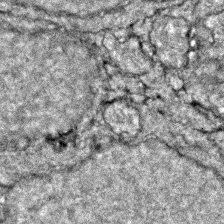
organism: Zebrafish